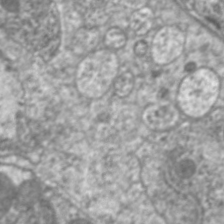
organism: C. elegans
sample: Pharynx